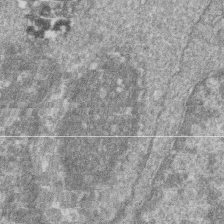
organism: Zebrafish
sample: Cilia; retinal pigment epithelium